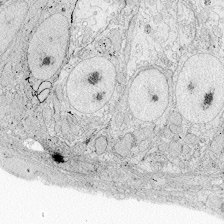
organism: Zebrafish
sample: Whole-Brain